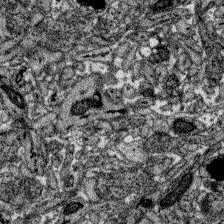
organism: Zebrafish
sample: Larval olfactory bulb